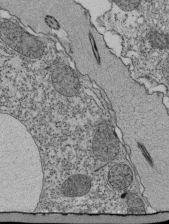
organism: Tetrahymena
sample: Cilia in tetrahymena